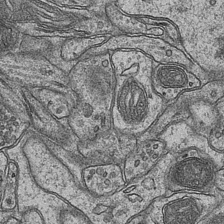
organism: Mouse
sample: CA1 Hippocampus